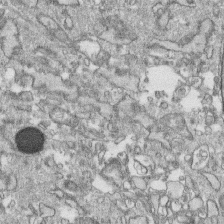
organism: Human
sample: CRL-1474